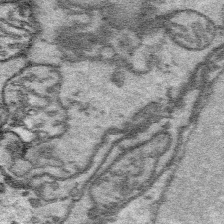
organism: Platynereis dumerilii